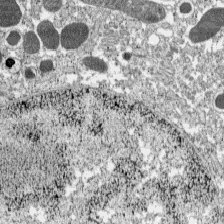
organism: C57BL Mouse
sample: Pancreatic islet